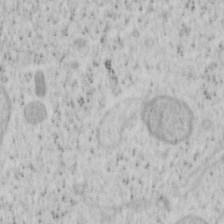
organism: Human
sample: HeLa cells